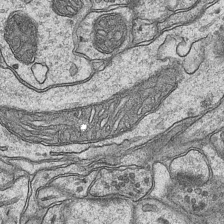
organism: Mouse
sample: CA1 Hippocampus